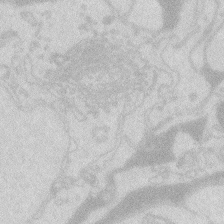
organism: Zebrafish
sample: Macrophage